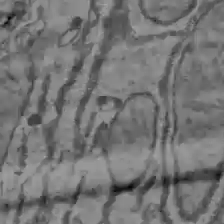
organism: C57BL Mouse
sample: Liver